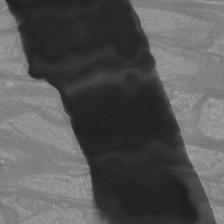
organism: Mouse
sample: Cortical neurons